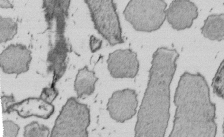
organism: E. coli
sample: Bacterial nucleoid